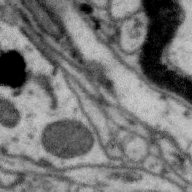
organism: Zebra finch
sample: Brain